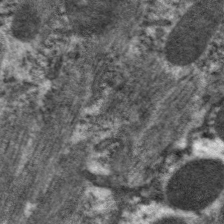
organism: C. elegans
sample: Pharynx